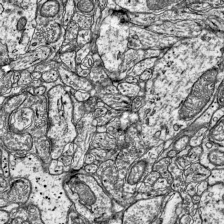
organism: Mouse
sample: Visual Cortex